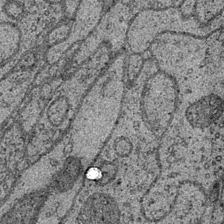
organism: Drosophila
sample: Optic medulla